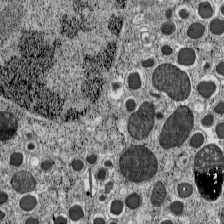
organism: C57BL Mouse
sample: Pancreatic islet